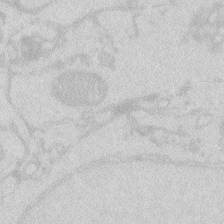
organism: Zebrafish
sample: Macrophage